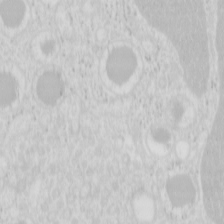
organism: Mouse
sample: Pancreas